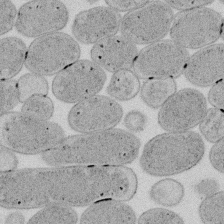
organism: E. coli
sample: Bacterial nucleoid